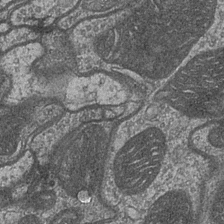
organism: Drosophila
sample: Optic medulla